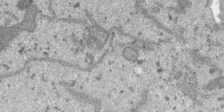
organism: Human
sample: Lung epithelial cells infected with SARS-CoV-2